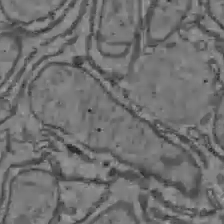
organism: C57BL Mouse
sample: Liver